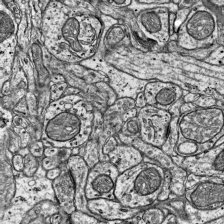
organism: Mouse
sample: Visual Cortex